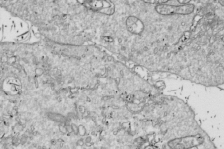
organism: Drosophila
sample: Cell division; meiosis; drosophila spermatocytes